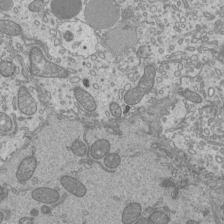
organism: Mouse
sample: Cilia; mouse epididymis